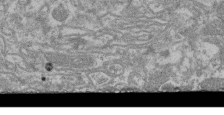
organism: Mouse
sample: Glomerulus